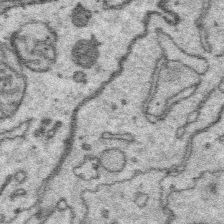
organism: Platynereis dumerilii